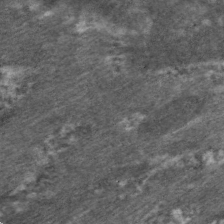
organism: C. elegans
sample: Pharynx